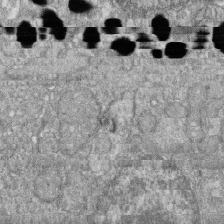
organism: Zebrafish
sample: Cilia; retinal pigment epithelium